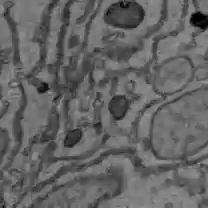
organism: C57BL Mouse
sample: Liver